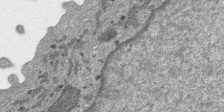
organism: Human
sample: Lung epithelial cells infected with SARS-CoV-2